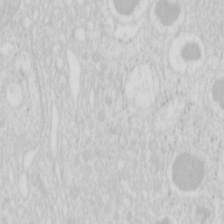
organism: Mouse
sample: Pancreas